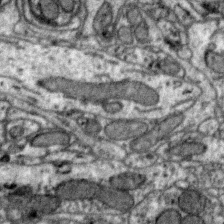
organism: Zebra finch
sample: Brain